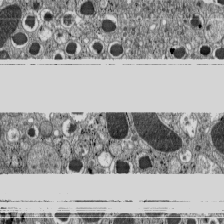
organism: C57BL Mouse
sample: Pancreatic islet